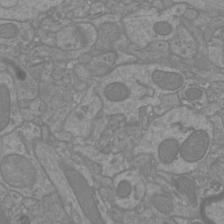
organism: Mouse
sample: Cortical neurons